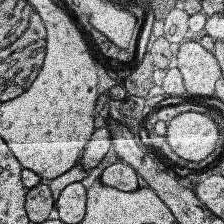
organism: Human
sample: Temporal Lobe